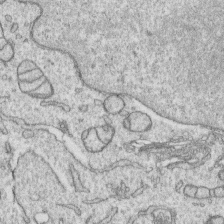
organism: Human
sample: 1205lu cells